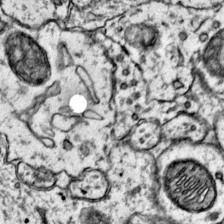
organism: Mouse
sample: Primary visual cortex